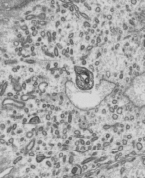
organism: Mouse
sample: Mouse epididymis efferent ductule cilia